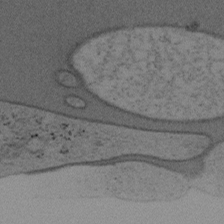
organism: Human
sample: HeLa cells